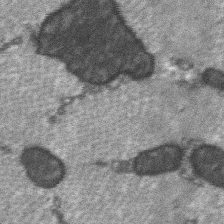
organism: C57BL Mouse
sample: Soleus